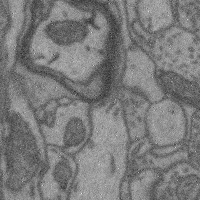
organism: Mouse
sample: Cerebral cortex